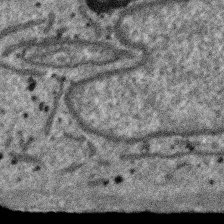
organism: Human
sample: Lung epithelial cells infected with SARS-CoV-2